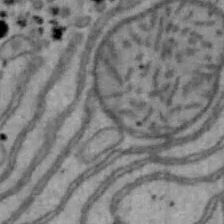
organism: Mouse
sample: Liver